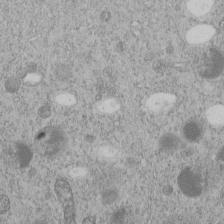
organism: C. elegans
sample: C. elegans embryo early stage